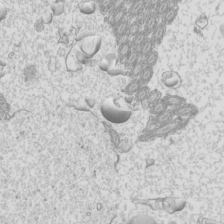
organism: Mouse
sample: Cilia; mouse epididymis